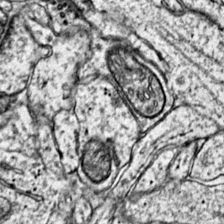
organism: Mouse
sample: Primary visual cortex